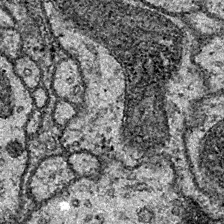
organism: Drosophila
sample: Ventral Nerve Cord